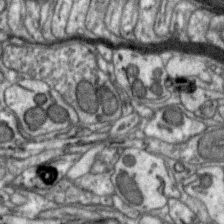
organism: Zebra finch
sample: Brain